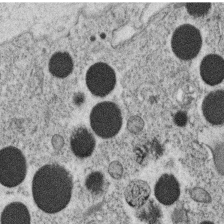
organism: C. elegans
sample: C. elegans oocyte; sperm cells